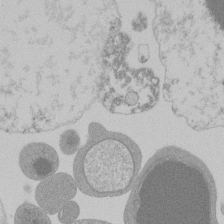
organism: Mouse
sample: Activated Pmel transgenic CD8+ T Cells